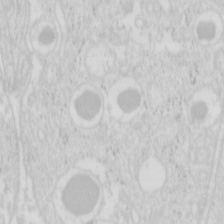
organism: Mouse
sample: Pancreas